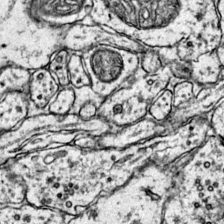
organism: Mouse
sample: Primary visual cortex